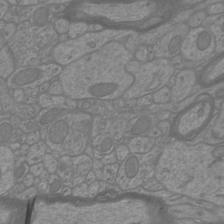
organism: Mouse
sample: Cortical neurons